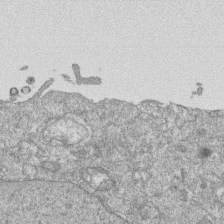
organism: Human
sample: HeLa cell HIV synapse